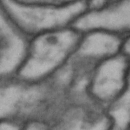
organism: Drosophila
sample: Brain